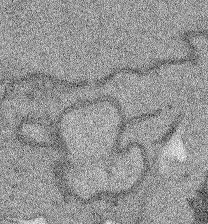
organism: Human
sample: HeLa cells